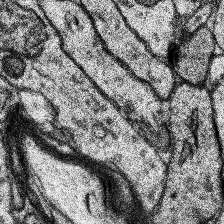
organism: Human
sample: Temporal Lobe